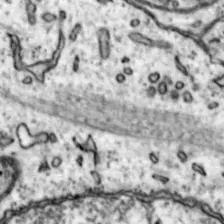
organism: Mouse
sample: Nucleus accumbens